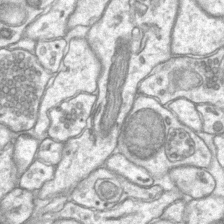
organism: Mouse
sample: CA1 Hippocampus